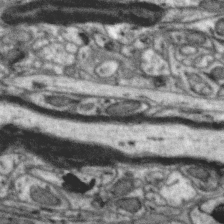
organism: Zebra finch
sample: Brain